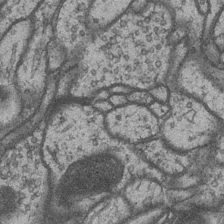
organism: Drosophila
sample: Optic medulla